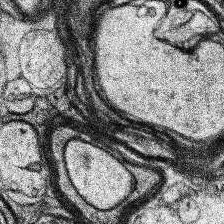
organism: Human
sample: Temporal Lobe